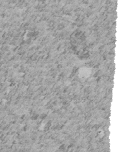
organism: C. elegans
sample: C. elegans embryo early stage